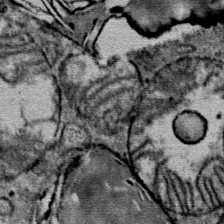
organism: Mouse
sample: Mouse Salivary gland